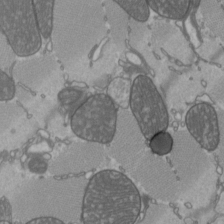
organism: C57BL Mouse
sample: Heart